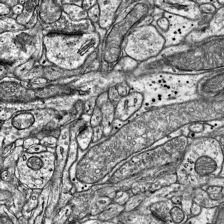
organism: Mouse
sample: Visual Cortex